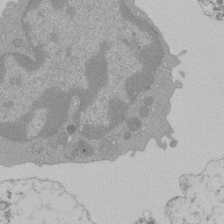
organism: Mouse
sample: Activated Pmel transgenic CD8+ T Cells